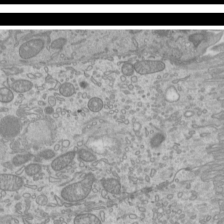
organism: Mouse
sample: Cilia; mouse epididymis